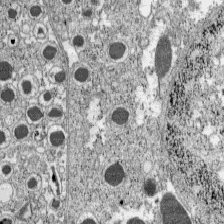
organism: C57BL Mouse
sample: Pancreatic islet